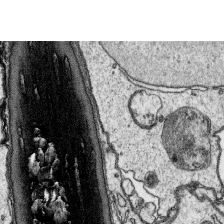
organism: Platynereis dumerilii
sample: Parapodia